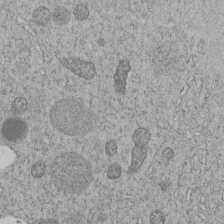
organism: C. elegans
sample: C. elegans embryo early stage